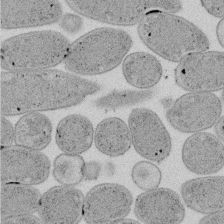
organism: E. coli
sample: Bacterial nucleoid